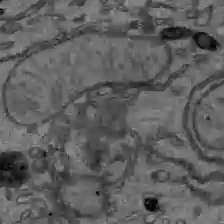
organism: C57BL Mouse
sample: Liver